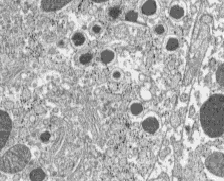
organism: C57BL Mouse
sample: Pancreatic islet